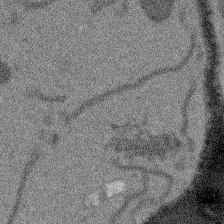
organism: Arabidopsis thaliana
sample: Root tip